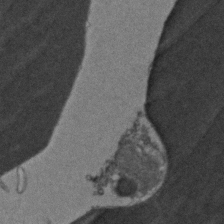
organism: Zebrafish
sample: Zebrafish embryo